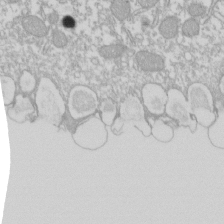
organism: Xenopus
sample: Cilia; centrioles in frog embryo cells